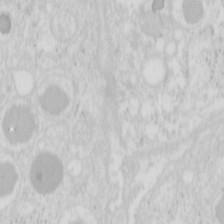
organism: Mouse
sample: Pancreas